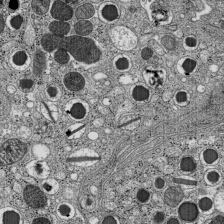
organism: C57BL Mouse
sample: Pancreatic islet